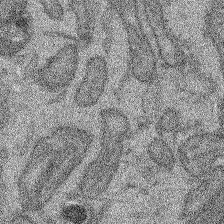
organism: Human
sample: HeLa cells